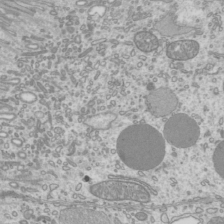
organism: Mouse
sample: Cilia; mouse epididymis